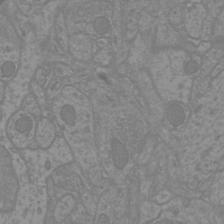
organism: Mouse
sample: Cortical neurons